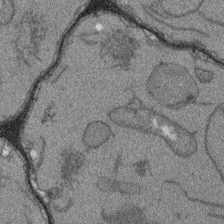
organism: Arabidopsis thaliana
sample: Root tip